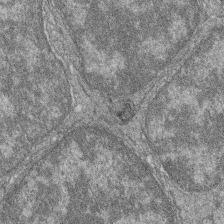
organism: Zebrafish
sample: Cilia; retinal pigment epithelium